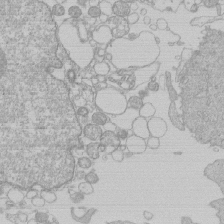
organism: Human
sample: Macrophage cells